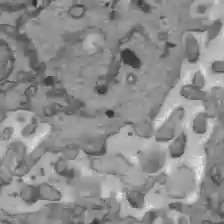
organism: C57BL Mouse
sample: Liver